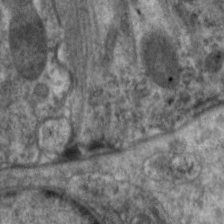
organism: C. elegans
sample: Pharynx